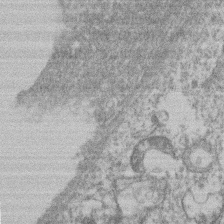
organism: Mouse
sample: T cell stromal cell synapse